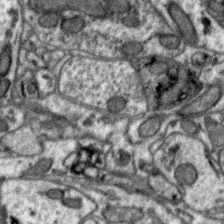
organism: Zebra finch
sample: Brain